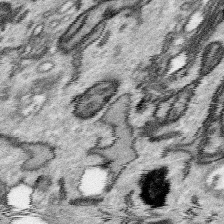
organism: Human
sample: HeLa cells